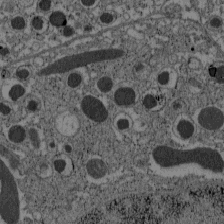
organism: C57BL Mouse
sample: Pancreatic islet